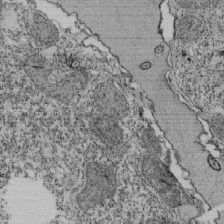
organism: Tetrahymena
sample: Cilia in tetrahymena